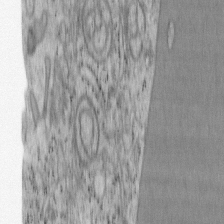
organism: Human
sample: HeLa cells